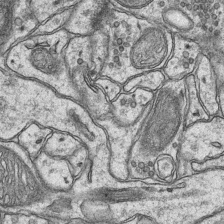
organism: Mouse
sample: CA1 Hippocampus